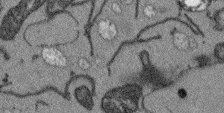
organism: Arabidopsis thaliana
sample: Root tip